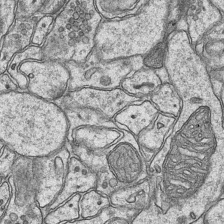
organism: Mouse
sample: CA1 Hippocampus